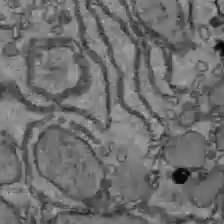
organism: C57BL Mouse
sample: Liver